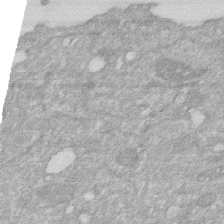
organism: Human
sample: HIV infected U937 cells